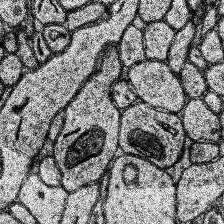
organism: Human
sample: Temporal Lobe